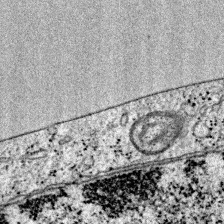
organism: Human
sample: HeLa cells